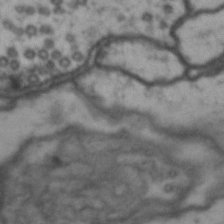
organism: Drosophila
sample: Brain